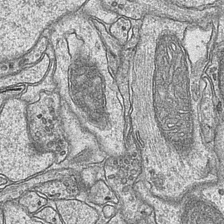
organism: Mouse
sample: CA1 Hippocampus